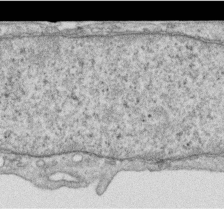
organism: Human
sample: Centriole in RPE cells